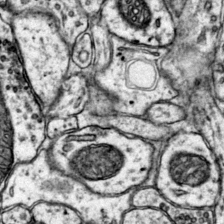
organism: Mouse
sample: Primary visual cortex